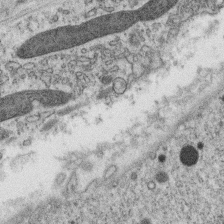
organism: C. elegans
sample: C. elegans oocyte; sperm cells